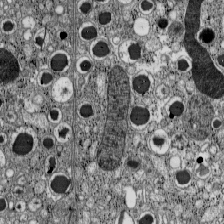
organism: C57BL Mouse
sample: Pancreatic islet